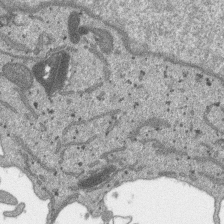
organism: Human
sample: Lung epithelial cells infected with SARS-CoV-2